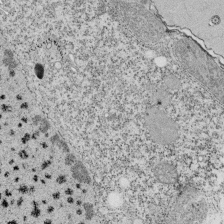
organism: Tetrahymena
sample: Cilia in tetrahymena